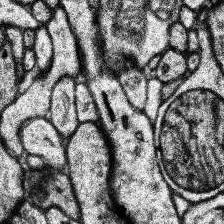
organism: Human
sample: Temporal Lobe